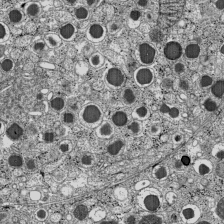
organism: C57BL Mouse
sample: Pancreatic islet